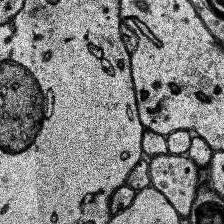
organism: Human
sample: Temporal Lobe